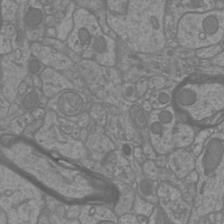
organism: Mouse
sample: Cortical neurons